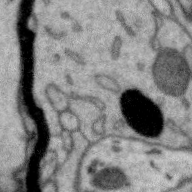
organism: Zebra finch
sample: Brain